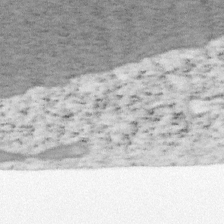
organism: Mouse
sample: OT-I killer T cells with ID8 ovarian cancer cells